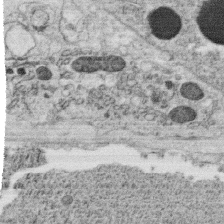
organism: C. elegans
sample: C. elegans oocyte; sperm cells